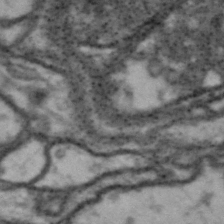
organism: Drosophila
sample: Brain